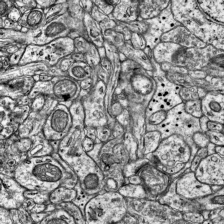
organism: Mouse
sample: Visual Cortex